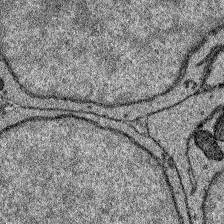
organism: Zebrafish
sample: Larval olfactory bulb